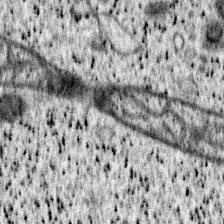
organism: Human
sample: HeLa cells